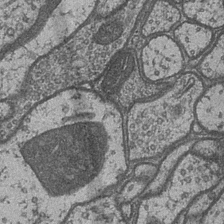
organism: Drosophila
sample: Optic medulla